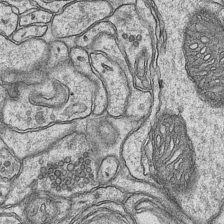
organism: Mouse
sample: CA1 Hippocampus